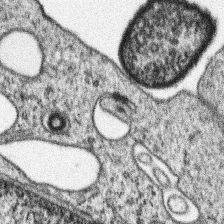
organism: Human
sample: HeLa cells